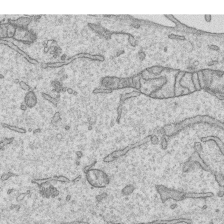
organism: Human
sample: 1205lu cells